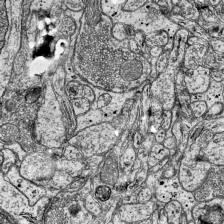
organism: Mouse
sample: Visual Cortex